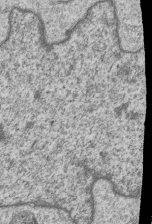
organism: Human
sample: MDA-MB-231 cells